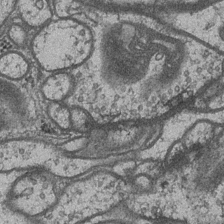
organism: Drosophila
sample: Optic medulla